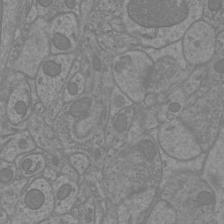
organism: Mouse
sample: Cortical neurons